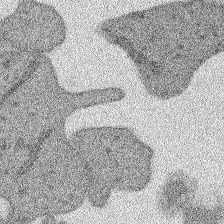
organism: Human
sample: HeLa cells